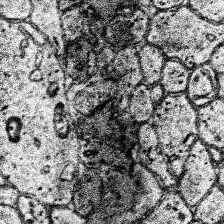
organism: Human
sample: Temporal Lobe